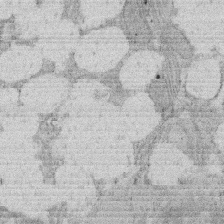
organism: Rat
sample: Salivary granule